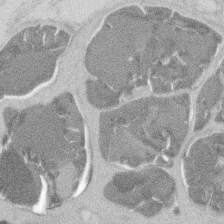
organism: Mouse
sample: T cell stromal cell synapse